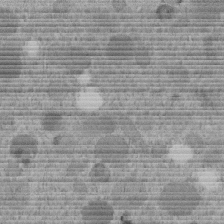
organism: C. elegans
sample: C. elegans embryo early stage